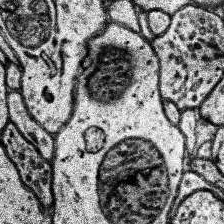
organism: Human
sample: Temporal Lobe